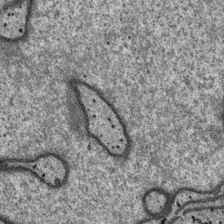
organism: Human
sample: Lung epithelial cells, uninfected (mock) control